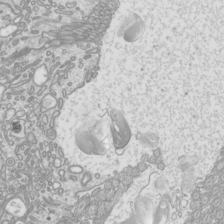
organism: Mouse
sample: Cilia; mouse epididymis